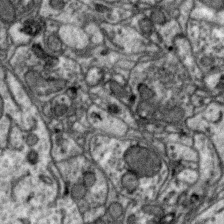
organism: Zebra finch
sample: Brain